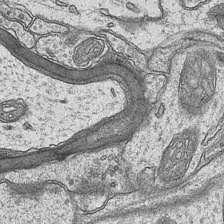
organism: Mouse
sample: CA1 Hippocampus